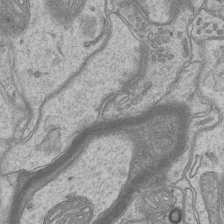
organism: Mouse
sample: CA1 Hippocampus